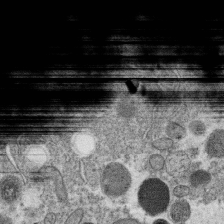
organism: C. elegans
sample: C. elegans oocyte; sperm cells